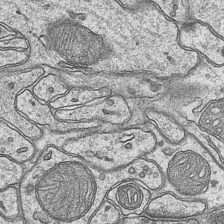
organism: Mouse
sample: CA1 Hippocampus